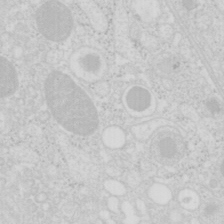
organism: Mouse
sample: Pancreas